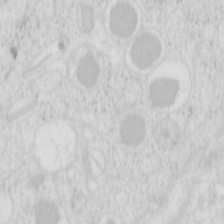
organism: Mouse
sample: Pancreas